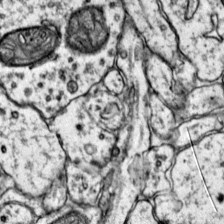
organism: Mouse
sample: Primary visual cortex